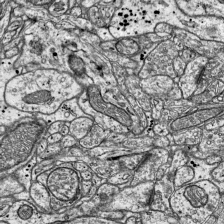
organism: Mouse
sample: Visual Cortex